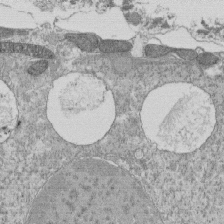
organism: Tetrahymena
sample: Cilia in tetrahymena